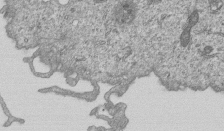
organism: Human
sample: MDA-MB-231 cells